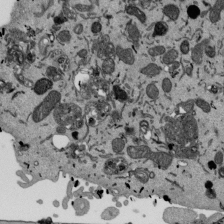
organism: Mouse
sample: ED-1 cell nuclei; centrioles